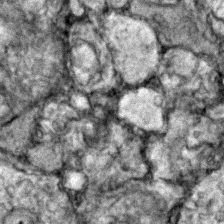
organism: Zebrafish